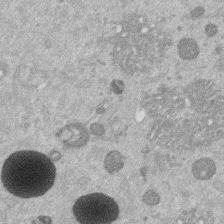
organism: Mouse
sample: Dividing mouse embryo 1 cell stage